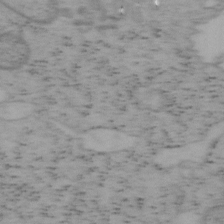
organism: Mouse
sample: OT-I killer T cells with ID8 ovarian cancer cells